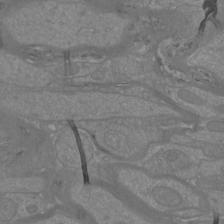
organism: Mouse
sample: Cortical neurons